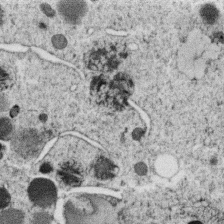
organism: C. elegans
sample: C. elegans oocyte; sperm cells